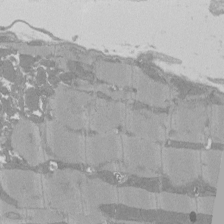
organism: Rat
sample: Left ventricle